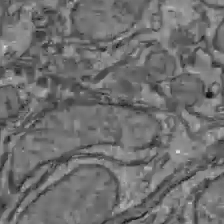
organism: C57BL Mouse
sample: Liver